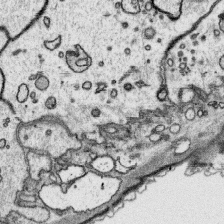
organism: Platynereis dumerilii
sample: Parapodia